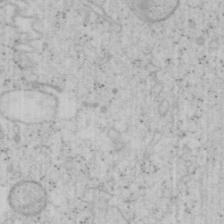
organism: Human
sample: HeLa cells